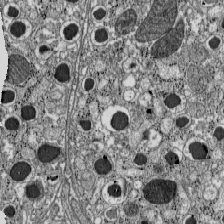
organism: C57BL Mouse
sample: Pancreatic islet